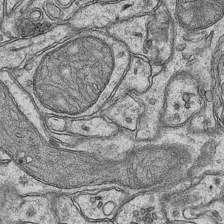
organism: Mouse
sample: CA1 Hippocampus